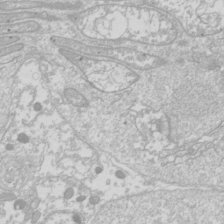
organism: Drosophila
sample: Cell division; meiosis; drosophila spermatocytes